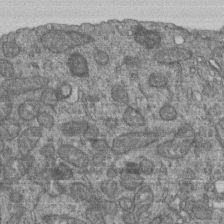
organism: Human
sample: Retinal organoid Rod and Cone cells